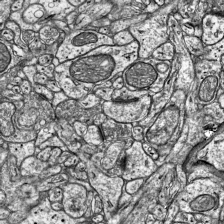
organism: Mouse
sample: Visual Cortex